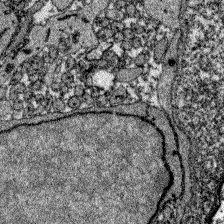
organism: Zebrafish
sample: Larval olfactory bulb